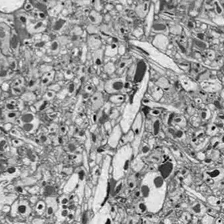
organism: Drosophila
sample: Optic lobe